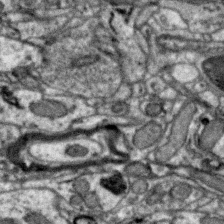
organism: Zebra finch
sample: Brain